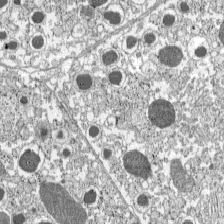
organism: C57BL Mouse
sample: Pancreatic islet